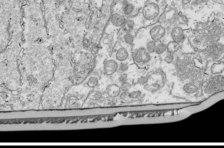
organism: Drosophila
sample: Cell division; meiosis; drosophila spermatocytes